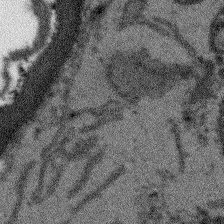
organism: Arabidopsis thaliana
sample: Root tip